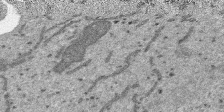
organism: Human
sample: Lung epithelial cells infected with SARS-CoV-2